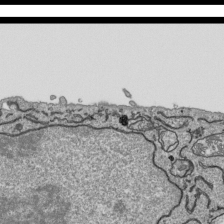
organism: Human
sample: Mitochondria in HCT116 cells